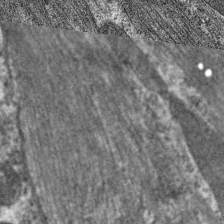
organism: C. elegans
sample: Pharynx